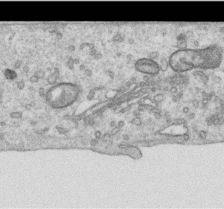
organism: Human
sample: Centriole in RPE cells